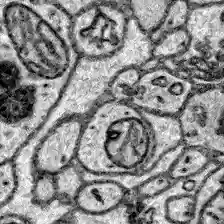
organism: Zebrafish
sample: Brain